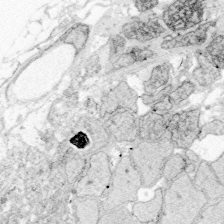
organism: Zebrafish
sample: Whole-Brain